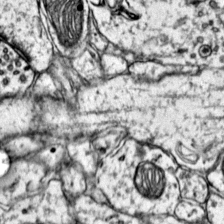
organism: Mouse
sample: Primary visual cortex